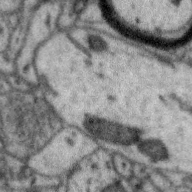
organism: Zebra finch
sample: Brain